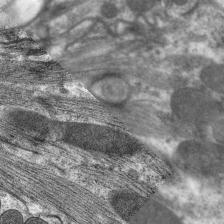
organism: C. elegans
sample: Pharynx